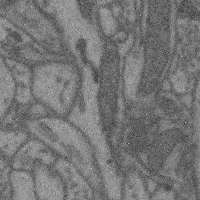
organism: Mouse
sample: Cerebral cortex